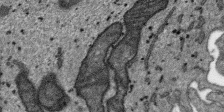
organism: Human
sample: Lung epithelial cells, uninfected (mock) control